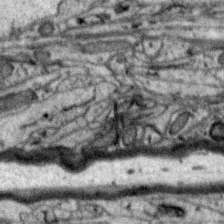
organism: Zebra finch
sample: Brain